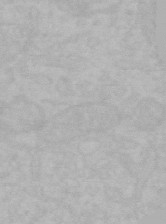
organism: Mouse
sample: Choroid plexus